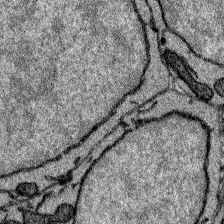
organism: Zebrafish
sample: Larval olfactory bulb